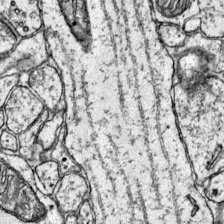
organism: Mouse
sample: Primary visual cortex